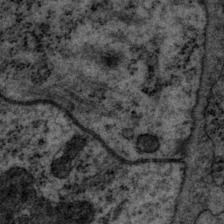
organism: P. pacificus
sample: Pharynx